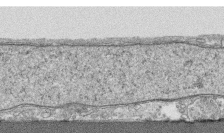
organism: Human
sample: CRL-1474